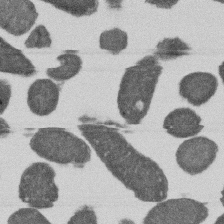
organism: E. coli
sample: Bacterial nucleoid